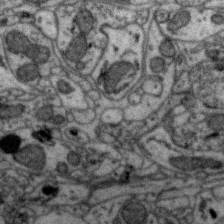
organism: Zebra finch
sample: Brain